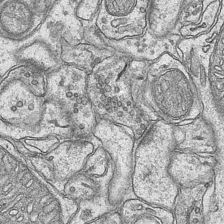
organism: Mouse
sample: CA1 Hippocampus